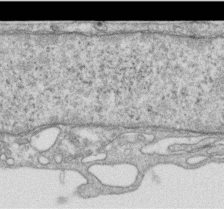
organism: Human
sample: Centriole in RPE cells